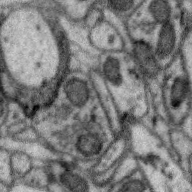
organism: Zebra finch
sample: Brain